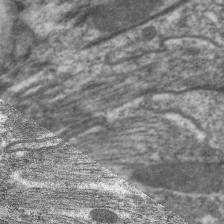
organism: C. elegans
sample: Pharynx